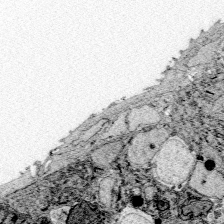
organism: Zebrafish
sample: Whole-Brain